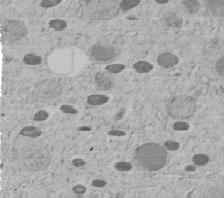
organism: C. elegans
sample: C. elegans embryo early stage